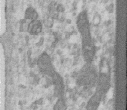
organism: Human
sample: Centriole in RPE cells